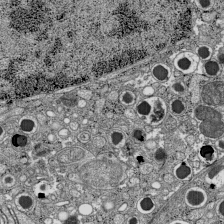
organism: C57BL Mouse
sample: Pancreatic islet